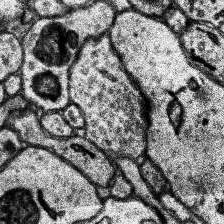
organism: Human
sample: Temporal Lobe